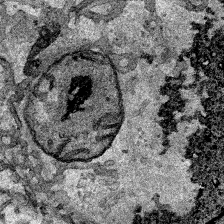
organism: Human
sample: Mitochondria in HCT116 cells